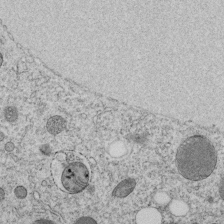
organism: C. elegans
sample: C. elegans embryo early stage